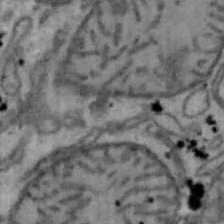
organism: Mouse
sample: Liver